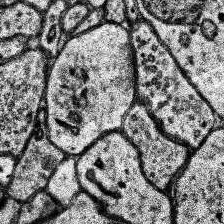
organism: Human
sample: Temporal Lobe